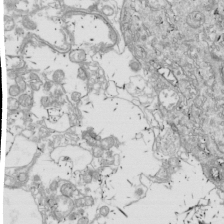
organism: Drosophila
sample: Cell division; meiosis; drosophila spermatocytes